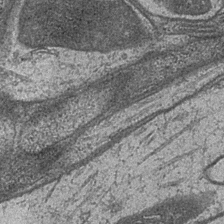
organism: Drosophila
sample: Optic medulla